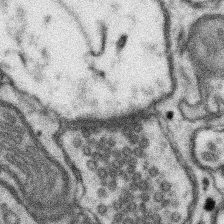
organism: Mouse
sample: Somatosensory cortex neuropil